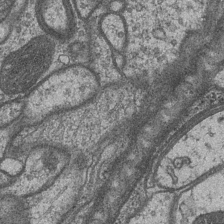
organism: Drosophila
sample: Optic medulla